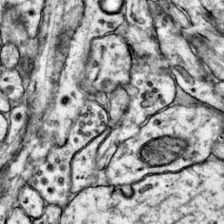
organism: Mouse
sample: Primary visual cortex